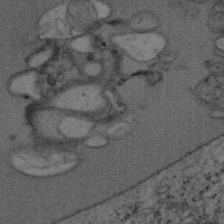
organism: Human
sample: HeLa cells